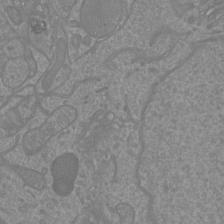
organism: Mouse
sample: Cortical neurons